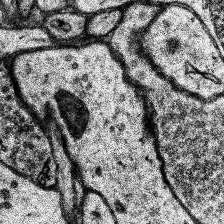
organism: Human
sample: Temporal Lobe